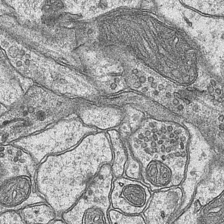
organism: Mouse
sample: CA1 Hippocampus